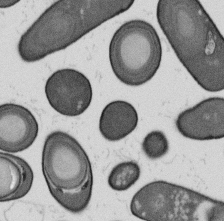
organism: B. subtilis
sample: Bacterial spore